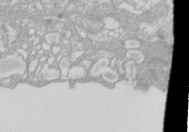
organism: Xenopus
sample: Cilia; centrioles in frog embryo cells